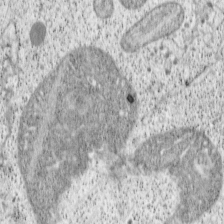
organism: African green monkey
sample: COS-7 cells